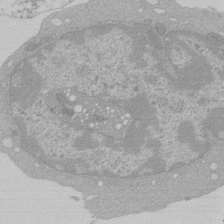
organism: Mouse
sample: Activated Pmel transgenic CD8+ T Cells